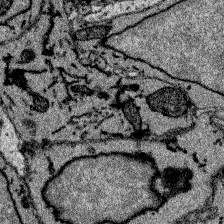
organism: Zebrafish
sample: Larval olfactory bulb